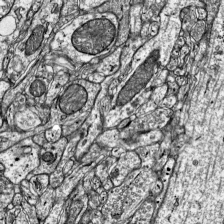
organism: Mouse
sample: Visual Cortex